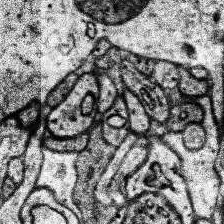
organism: Human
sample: Temporal Lobe